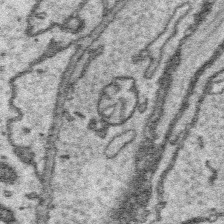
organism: Platynereis dumerilii